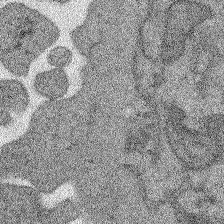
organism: Human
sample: HeLa cells